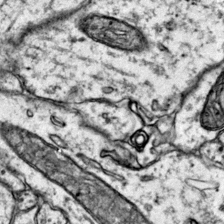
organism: Mouse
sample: Primary visual cortex